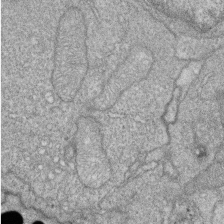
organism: Zebrafish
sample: Cilia; retinal pigment epithelium